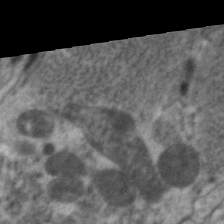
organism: C. elegans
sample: Pharynx